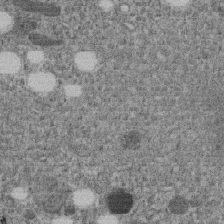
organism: C. elegans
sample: C. elegans embryo early stage